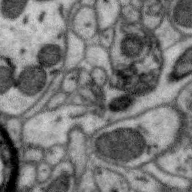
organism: Zebra finch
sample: Brain